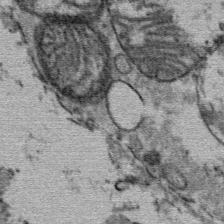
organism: Mouse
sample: Mouse Salivary gland